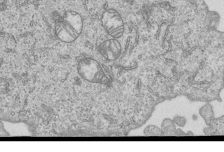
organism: Human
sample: MDA-MB-231 cells